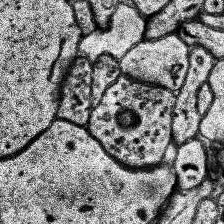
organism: Human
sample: Temporal Lobe